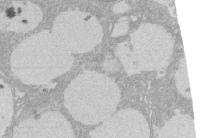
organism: Rat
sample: Salivary granule